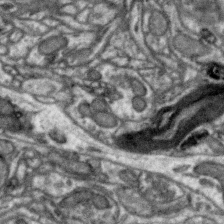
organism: Zebra finch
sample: Brain